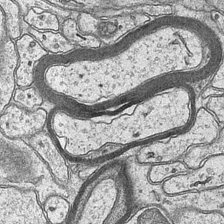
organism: Mouse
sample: CA1 Hippocampus